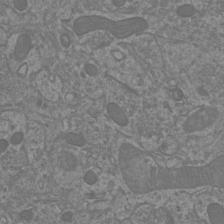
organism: Mouse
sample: Cortical neurons